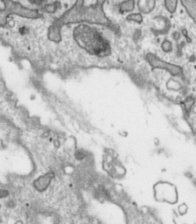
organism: Toxoplasma gondii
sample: Parasites in a vacuole inside a host cell